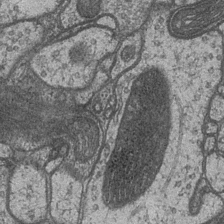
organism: Drosophila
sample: Optic medulla